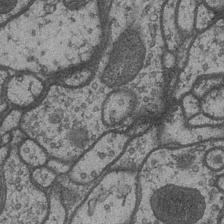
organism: Drosophila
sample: Optic medulla